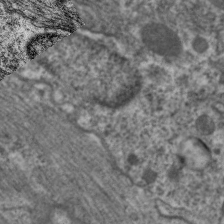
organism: C. elegans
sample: Pharynx